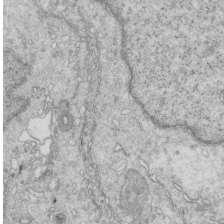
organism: Mouse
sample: Multiciliated cells